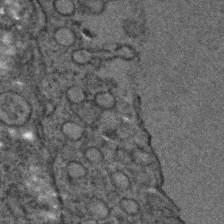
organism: C. elegans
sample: C. elegans embryo